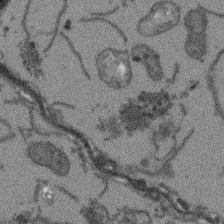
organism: Arabidopsis thaliana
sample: Root tip